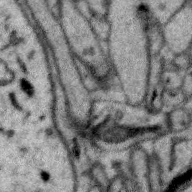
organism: Zebra finch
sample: Brain